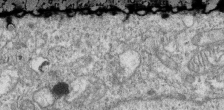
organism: Human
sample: HeLa cell HIV synapse